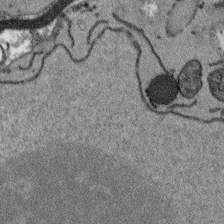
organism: Arabidopsis thaliana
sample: Root tip